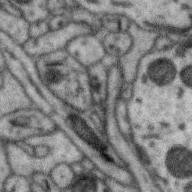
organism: Zebra finch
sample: Brain